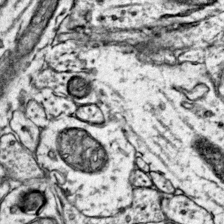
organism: Mouse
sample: Primary visual cortex